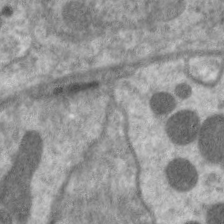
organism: C. elegans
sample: Pharynx